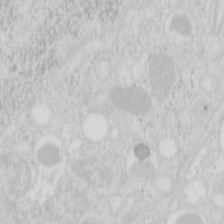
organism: Mouse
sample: Pancreas